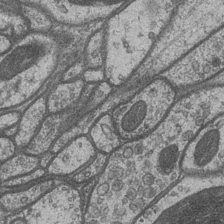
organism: Drosophila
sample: Optic medulla